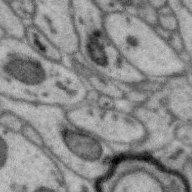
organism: Zebra finch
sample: Brain